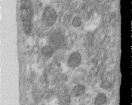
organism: Human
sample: Centriole in RPE cells